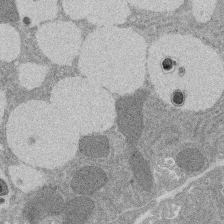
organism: Rat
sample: Salivary granule